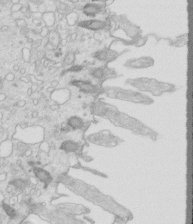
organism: Mouse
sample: Multiciliated cells